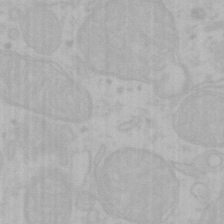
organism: Mouse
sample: Choroid plexus